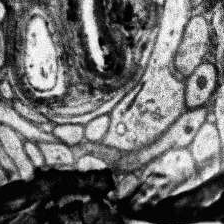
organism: Human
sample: Temporal Lobe